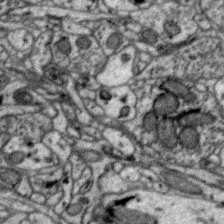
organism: Zebra finch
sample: Brain